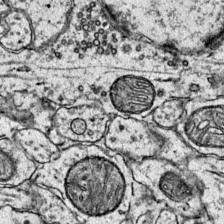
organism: Mouse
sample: Primary visual cortex